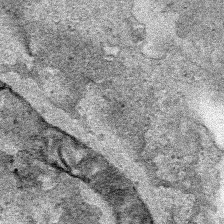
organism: Human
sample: Mitochondria in HCT116 cells